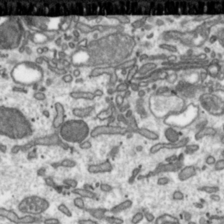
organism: Toxoplasma gondii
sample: Parasites in a vacuole inside a host cell